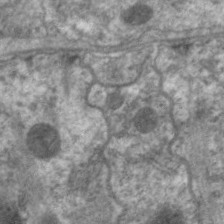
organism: C. elegans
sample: Pharynx